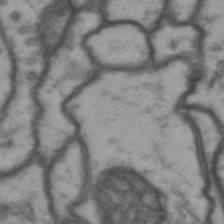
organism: Drosophila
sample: Brain